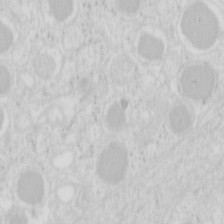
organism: Mouse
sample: Pancreas